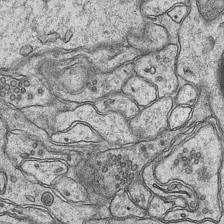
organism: Mouse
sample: CA1 Hippocampus